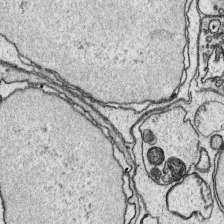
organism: Platynereis dumerilii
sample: Parapodia